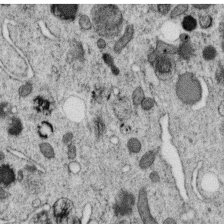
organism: C. elegans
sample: C. elegans oocyte; sperm cells